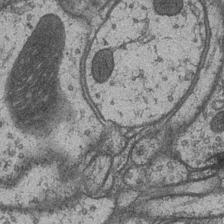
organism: Drosophila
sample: Optic medulla